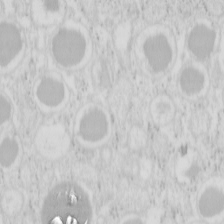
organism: Mouse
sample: Pancreas